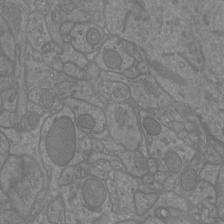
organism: Mouse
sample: Cortical neurons